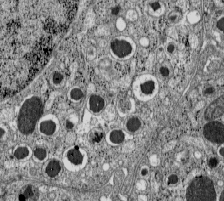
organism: C57BL Mouse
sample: Pancreatic islet